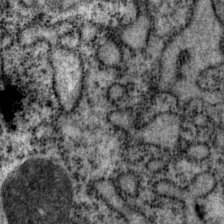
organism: P. pacificus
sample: Pharynx